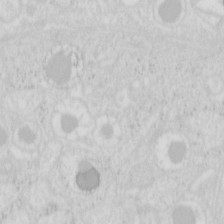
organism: Mouse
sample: Pancreas